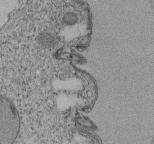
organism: Tetrahymena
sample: Cilia in tetrahymena